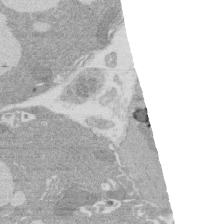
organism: Rat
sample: Salivary granule